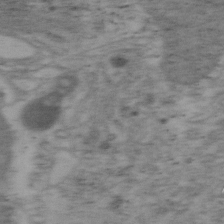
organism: Mouse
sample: OT-I killer T cells with ID8 ovarian cancer cells